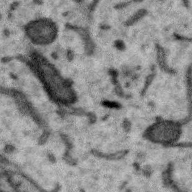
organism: Zebra finch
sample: Brain